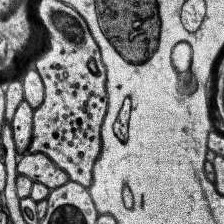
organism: Human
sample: Temporal Lobe